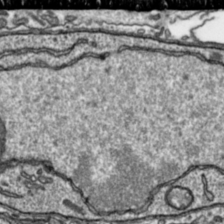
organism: Toxoplasma gondii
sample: Parasites in a vacuole inside a host cell